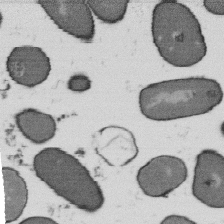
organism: B. subtilis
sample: Bacterial spore